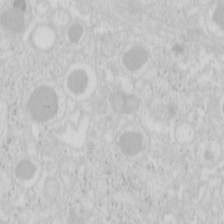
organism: Mouse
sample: Pancreas